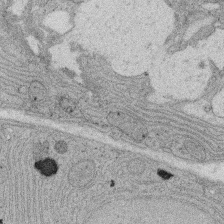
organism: Rat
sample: Salivary granule